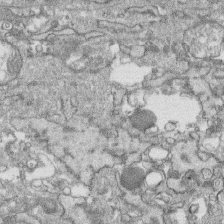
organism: Human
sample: CRL-1474